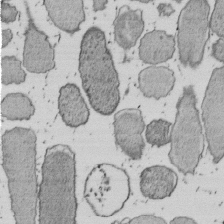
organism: E. coli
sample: Bacterial nucleoid